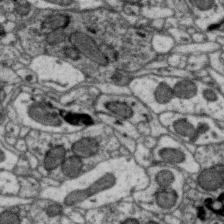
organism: Zebra finch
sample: Brain